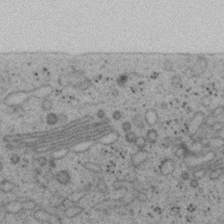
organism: Human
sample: HeLa cells